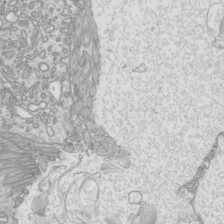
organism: Mouse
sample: Cilia; mouse epididymis